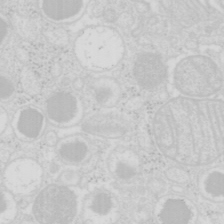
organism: Mouse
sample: Pancreas